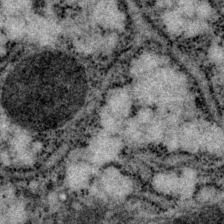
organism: P. pacificus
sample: Pharynx